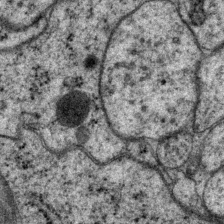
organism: P. pacificus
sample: Pharynx